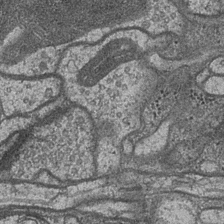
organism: Drosophila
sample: Optic medulla